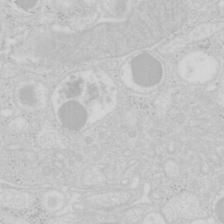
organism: Mouse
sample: Pancreas